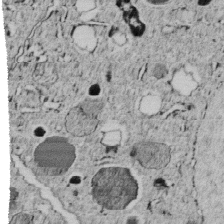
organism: C. elegans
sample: C. elegans embryo early stage